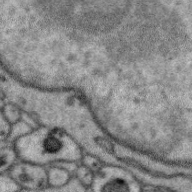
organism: Zebra finch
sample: Brain